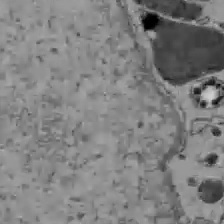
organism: C57BL Mouse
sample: Liver